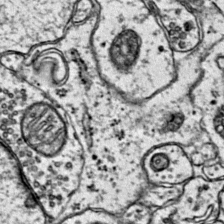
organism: Mouse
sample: Primary visual cortex